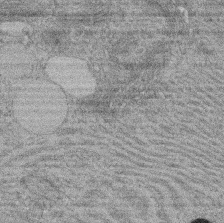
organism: Rat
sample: Salivary granule